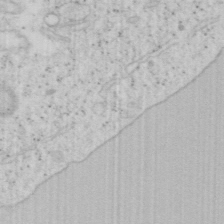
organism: Human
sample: HeLa cells